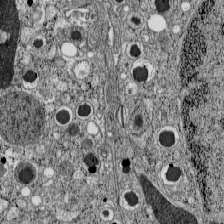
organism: C57BL Mouse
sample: Pancreatic islet